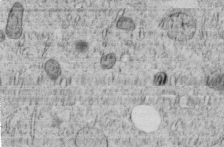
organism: C. elegans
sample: C. elegans embryo early stage